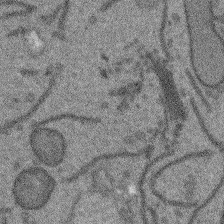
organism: Arabidopsis thaliana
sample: Root tip